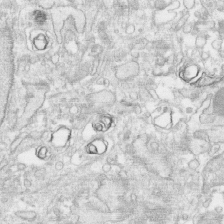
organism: Human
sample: CRL-1474